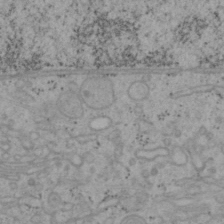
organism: Human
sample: HeLa cells